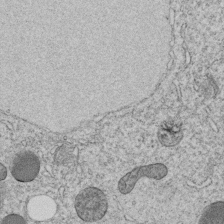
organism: C. elegans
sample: C. elegans embryo early stage